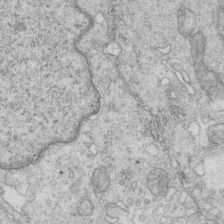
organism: Mouse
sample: Multiciliated cells